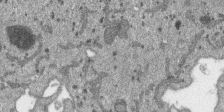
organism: Human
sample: Lung epithelial cells infected with SARS-CoV-2